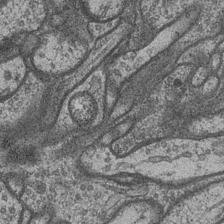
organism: Drosophila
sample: Optic medulla